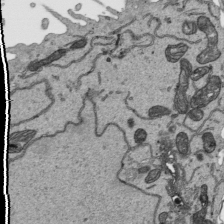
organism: Human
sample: Mitochondria in HCT116 cells